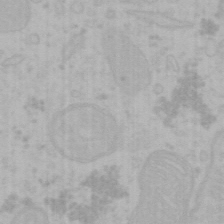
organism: Mouse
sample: Choroid plexus